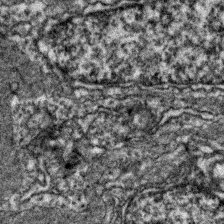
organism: Zebrafish